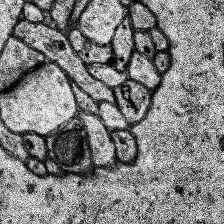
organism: Human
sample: Temporal Lobe